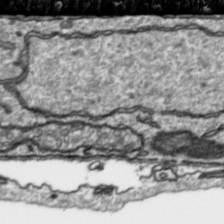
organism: Toxoplasma gondii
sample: Parasites in a vacuole inside a host cell